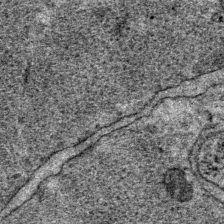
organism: P. pacificus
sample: Pharynx